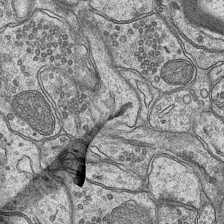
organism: Mouse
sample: CA1 Hippocampus